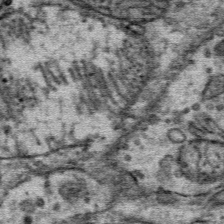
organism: Mouse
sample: Mouse Salivary gland